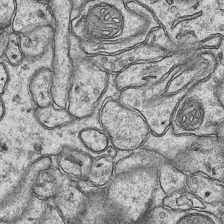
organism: Mouse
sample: CA1 Hippocampus